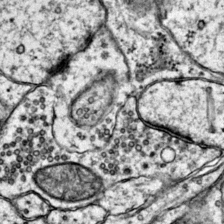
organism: Mouse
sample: Primary visual cortex